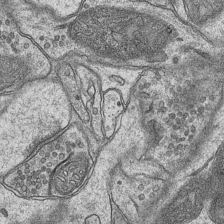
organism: Mouse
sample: CA1 Hippocampus